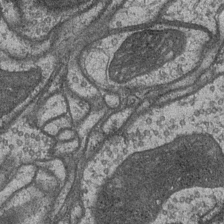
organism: Drosophila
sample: Optic medulla